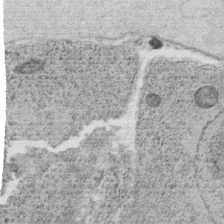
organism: C. elegans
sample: C. elegans oocyte; sperm cells